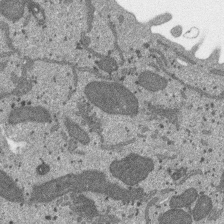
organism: Human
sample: Lung epithelial cells infected with SARS-CoV-2